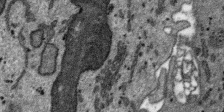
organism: Human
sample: Lung epithelial cells, uninfected (mock) control